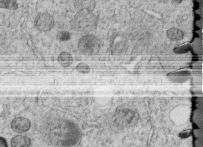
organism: C. elegans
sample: C. elegans embryo early stage